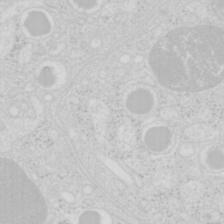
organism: Mouse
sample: Pancreas